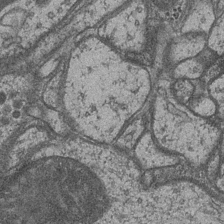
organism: Drosophila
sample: Optic medulla